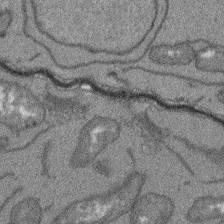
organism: Arabidopsis thaliana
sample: Root tip